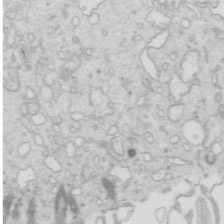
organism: Mouse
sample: Multiciliated cells